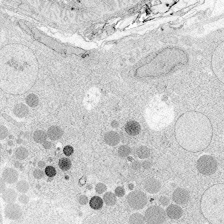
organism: Zebrafish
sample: Whole-Brain